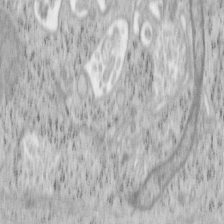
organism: Human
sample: HeLa cells